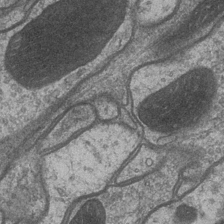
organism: Drosophila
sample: Optic medulla